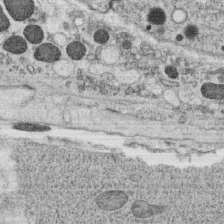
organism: C. elegans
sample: C. elegans oocyte; sperm cells